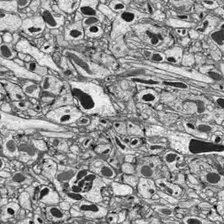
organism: Drosophila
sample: Optic lobe